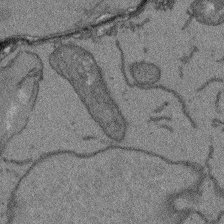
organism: Arabidopsis thaliana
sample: Root tip